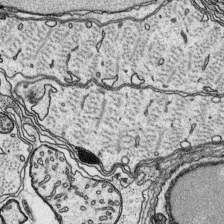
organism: Platynereis dumerilii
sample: Parapodia